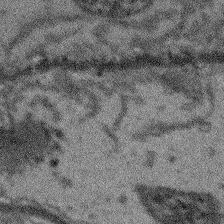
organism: Arabidopsis thaliana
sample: Root tip